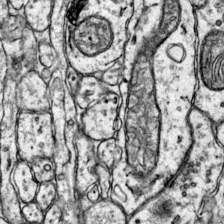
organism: Mouse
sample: Primary visual cortex